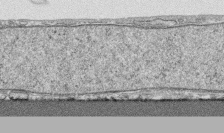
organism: Human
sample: CRL-1474